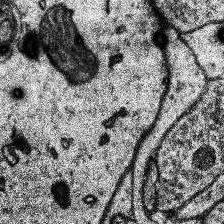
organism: Human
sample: Temporal Lobe